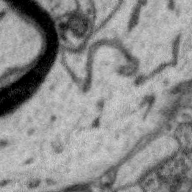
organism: Zebra finch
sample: Brain